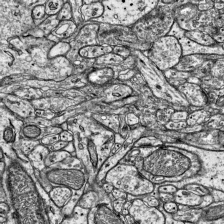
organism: Mouse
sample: Visual Cortex